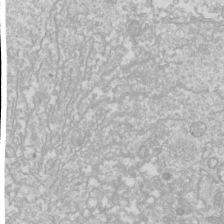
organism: Drosophila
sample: Cell division; meiosis; drosophila spermatocytes